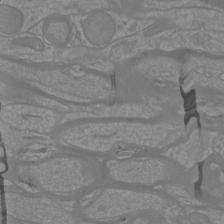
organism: Mouse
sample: Cortical neurons